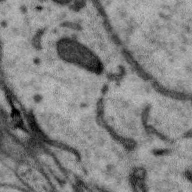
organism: Zebra finch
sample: Brain